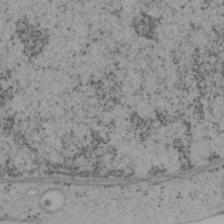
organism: Human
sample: HeLa cells